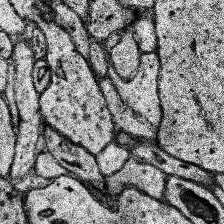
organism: Human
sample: Temporal Lobe